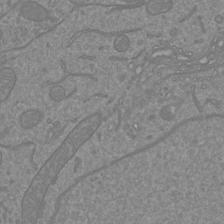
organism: Mouse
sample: Cortical neurons